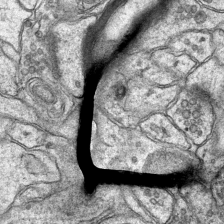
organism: Mouse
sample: CA1 Hippocampus